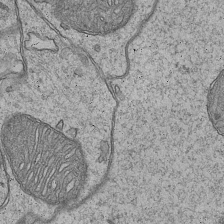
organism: Mouse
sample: CA1 Hippocampus